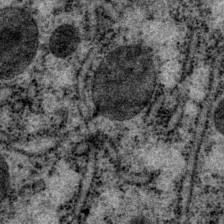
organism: P. pacificus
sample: Pharynx